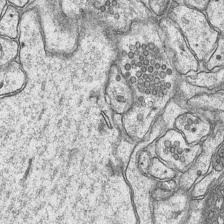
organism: Mouse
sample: CA1 Hippocampus